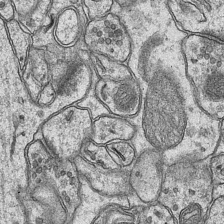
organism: Mouse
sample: CA1 Hippocampus